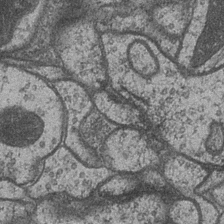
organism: Drosophila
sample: Optic medulla